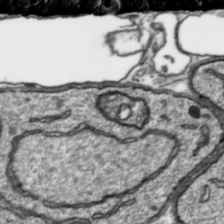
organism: Toxoplasma gondii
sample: Parasites in a vacuole inside a host cell